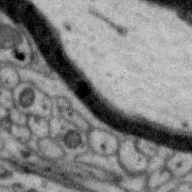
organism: Zebra finch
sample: Brain